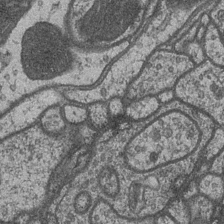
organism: Drosophila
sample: Optic medulla